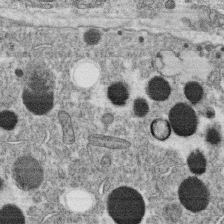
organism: C. elegans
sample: C. elegans oocyte; sperm cells